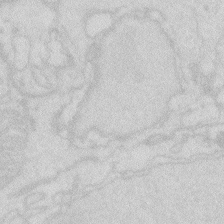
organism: Zebrafish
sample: Macrophage